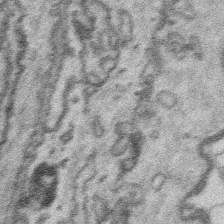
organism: Platynereis dumerilii